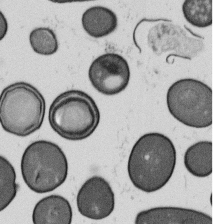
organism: B. subtilis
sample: Bacterial spore